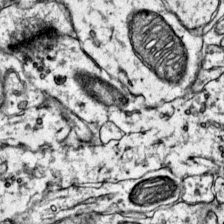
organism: Mouse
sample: Primary visual cortex